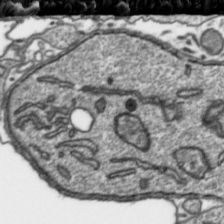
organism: Toxoplasma gondii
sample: Parasites in a vacuole inside a host cell